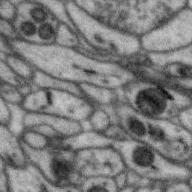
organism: Zebra finch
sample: Brain